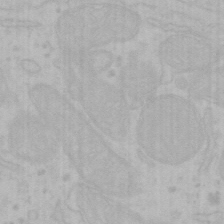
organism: Mouse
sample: Choroid plexus